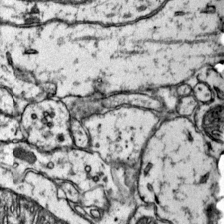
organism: Mouse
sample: Primary visual cortex